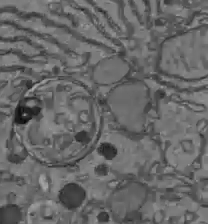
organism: C57BL Mouse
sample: Liver